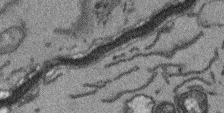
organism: Arabidopsis thaliana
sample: Root tip